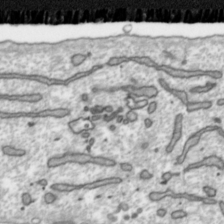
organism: Toxoplasma gondii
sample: Parasites in a vacuole inside a host cell